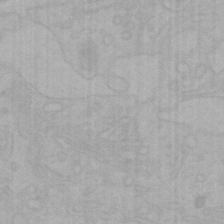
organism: Mouse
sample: Choroid plexus